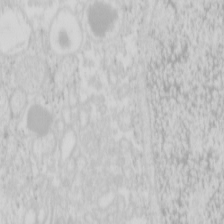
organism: Mouse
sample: Pancreas